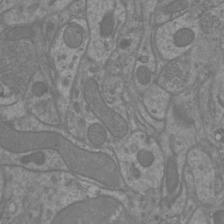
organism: Mouse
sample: Cortical neurons